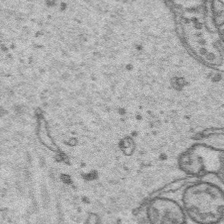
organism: Platynereis dumerilii